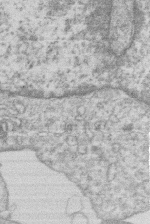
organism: Human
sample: Macrophage cells